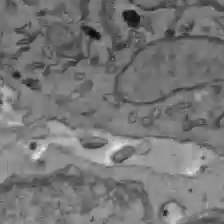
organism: C57BL Mouse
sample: Liver